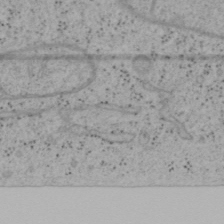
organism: Human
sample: HeLa cells